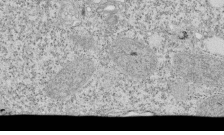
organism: Tetrahymena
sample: Cilia in tetrahymena